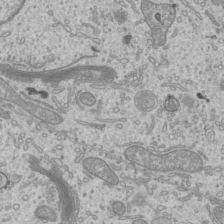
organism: Mouse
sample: Cilia; mouse epididymis